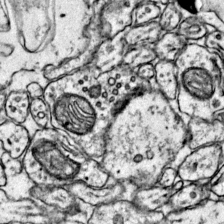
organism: Mouse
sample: Primary visual cortex